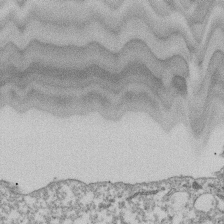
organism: Dictyostelium discoideum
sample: Dictyostelium multivesicular bodies